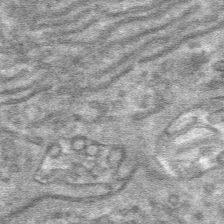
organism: Mouse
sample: Mouse hepatocytes